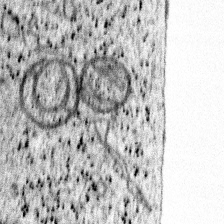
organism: Human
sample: HeLa cells